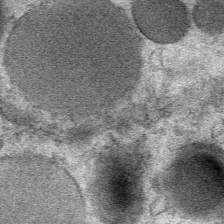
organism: Mouse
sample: Mouse Salivary gland